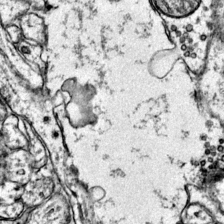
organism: Mouse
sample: Primary visual cortex